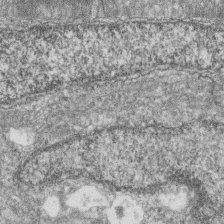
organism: Zebrafish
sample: Cilia; retinal pigment epithelium